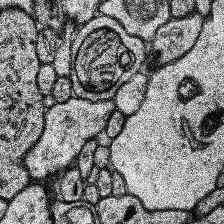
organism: Human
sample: Temporal Lobe